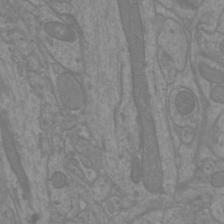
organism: Mouse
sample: Cortical neurons